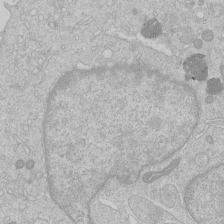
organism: Human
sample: Macrophage cells